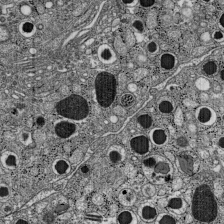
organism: C57BL Mouse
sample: Pancreatic islet